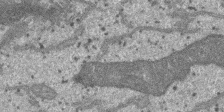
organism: Human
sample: Lung epithelial cells infected with SARS-CoV-2